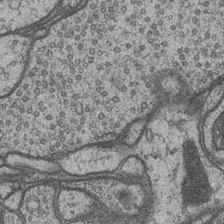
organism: Drosophila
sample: Optic medulla